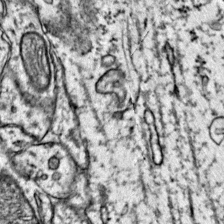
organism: Mouse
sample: Primary visual cortex